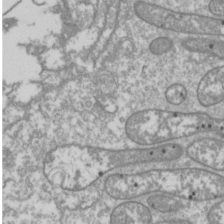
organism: Drosophila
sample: Cell division; meiosis; drosophila spermatocytes